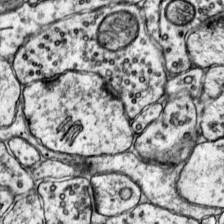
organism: Mouse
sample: Primary visual cortex